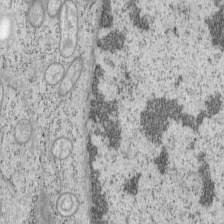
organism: Mouse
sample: OT-I killer T cells with ID8 ovarian cancer cells